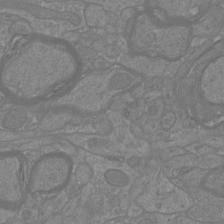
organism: Mouse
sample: Cortical neurons